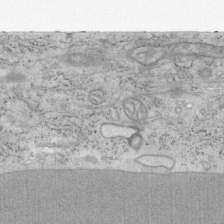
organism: Human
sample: HeLa cells